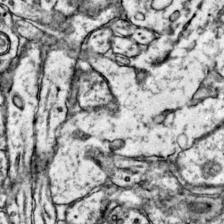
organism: Mouse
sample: Primary visual cortex